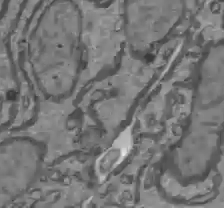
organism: C57BL Mouse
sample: Liver